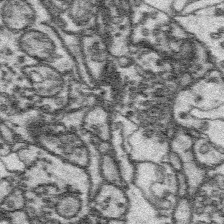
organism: Platynereis dumerilii